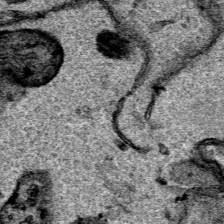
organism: Human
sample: Mitochondria in HCT116 cells